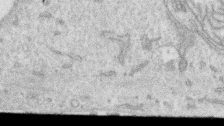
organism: Human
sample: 1205lu cells